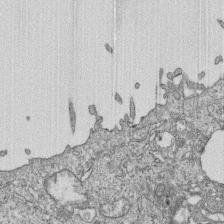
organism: Human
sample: HeLa cell HIV synapse